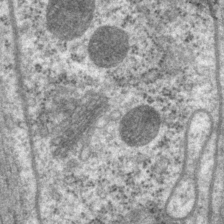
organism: P. pacificus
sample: Pharynx